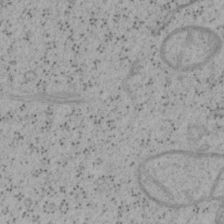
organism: Human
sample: HeLa cells